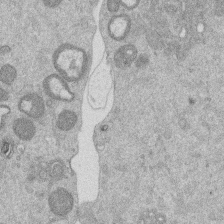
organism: Mouse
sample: Dividing mouse embryo 1 cell stage